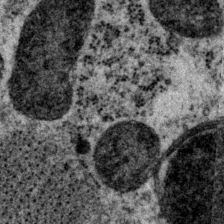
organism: P. pacificus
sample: Pharynx